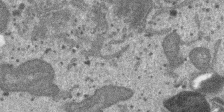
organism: Human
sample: Lung epithelial cells infected with SARS-CoV-2